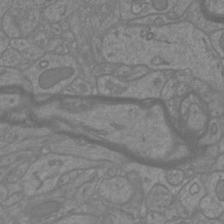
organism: Mouse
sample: Cortical neurons